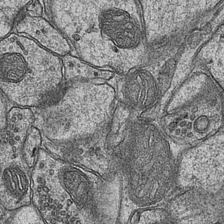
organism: Mouse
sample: CA1 Hippocampus